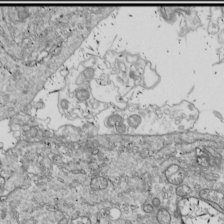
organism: Drosophila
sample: Cell division; meiosis; drosophila spermatocytes